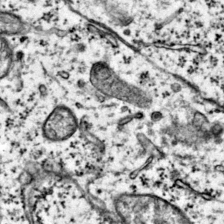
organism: Mouse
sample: Primary visual cortex